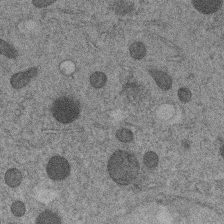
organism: C. elegans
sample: C. elegans embryo early stage